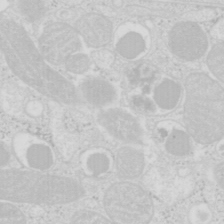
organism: Mouse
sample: Pancreas